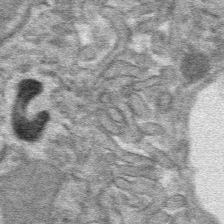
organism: Mouse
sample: Mouse hepatocytes